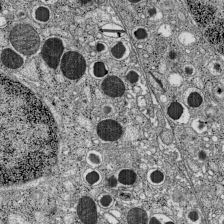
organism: C57BL Mouse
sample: Pancreatic islet